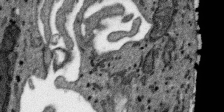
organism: Human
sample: Lung epithelial cells, uninfected (mock) control